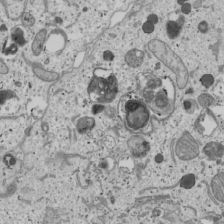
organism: Human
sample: Mitochondria in U2OS cells